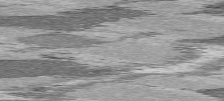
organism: C57BL Mouse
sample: Heart